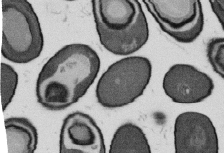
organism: B. subtilis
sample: Bacterial spore